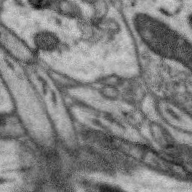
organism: Zebra finch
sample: Brain